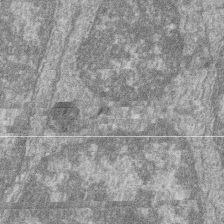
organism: Zebrafish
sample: Cilia; retinal pigment epithelium